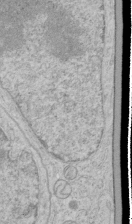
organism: Human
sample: Mitochondria in HCT116 cells